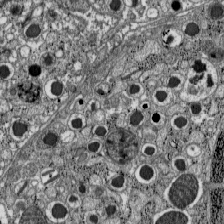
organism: C57BL Mouse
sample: Pancreatic islet